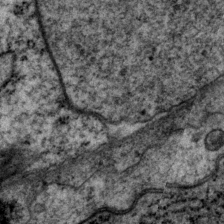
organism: P. pacificus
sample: Pharynx